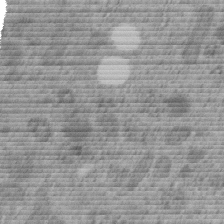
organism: C. elegans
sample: C. elegans embryo early stage